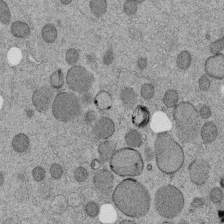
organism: C. elegans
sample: C. elegans embryo early stage